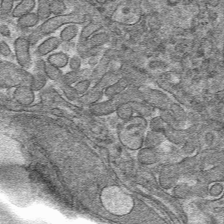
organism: Mouse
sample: Mouse hepatocytes